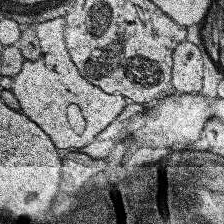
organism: Human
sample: Temporal Lobe